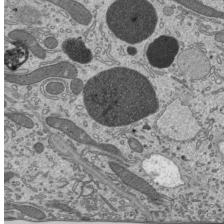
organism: Mouse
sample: Mouse epididymis efferent ductule cilia